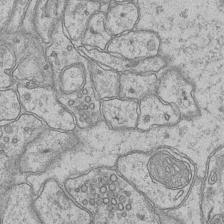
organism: Mouse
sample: CA1 Hippocampus